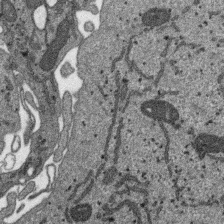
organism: Human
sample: Lung epithelial cells infected with SARS-CoV-2